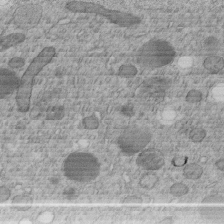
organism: C. elegans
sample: C. elegans embryo early stage